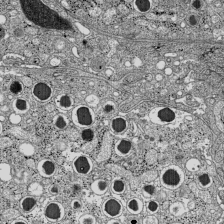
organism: C57BL Mouse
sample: Pancreatic islet